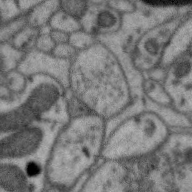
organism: Zebra finch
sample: Brain